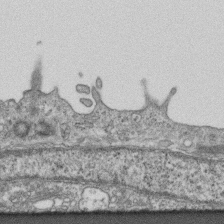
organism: Mouse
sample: Centriole in ependymal cells